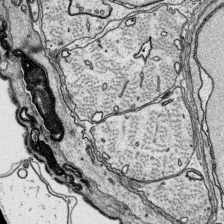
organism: Platynereis dumerilii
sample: Parapodia